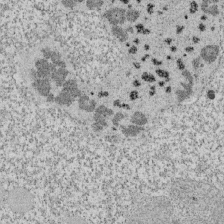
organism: Tetrahymena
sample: Cilia in tetrahymena